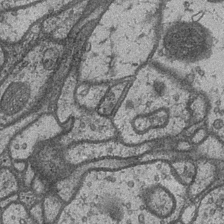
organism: Drosophila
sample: Optic medulla